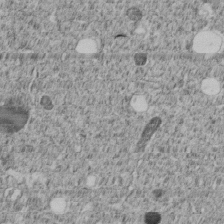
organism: C. elegans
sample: C. elegans embryo early stage